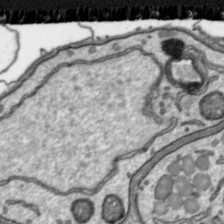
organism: Toxoplasma gondii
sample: Parasites in a vacuole inside a host cell